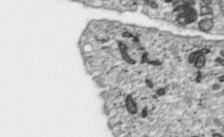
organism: Toxoplasma gondii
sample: Parasites in a vacuole inside a host cell